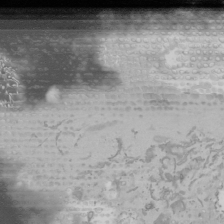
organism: Mouse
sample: Cancer cell death in ED-1 cells